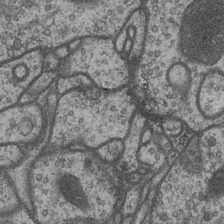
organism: Drosophila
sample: Optic medulla